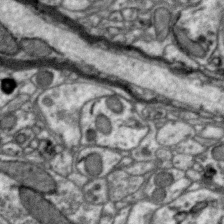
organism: Zebra finch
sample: Brain